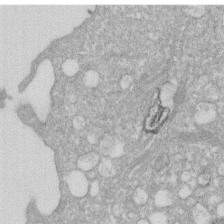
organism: Human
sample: HIV infected U937 cells